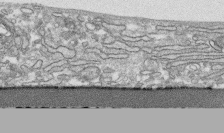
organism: Human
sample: CRL-1474